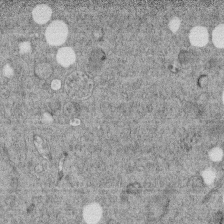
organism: C. elegans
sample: C. elegans embryo early stage